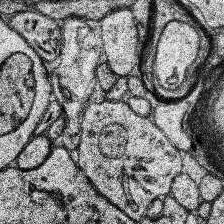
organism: Human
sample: Temporal Lobe